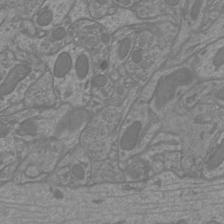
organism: Mouse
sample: Cortical neurons